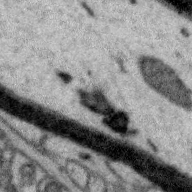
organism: Zebra finch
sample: Brain